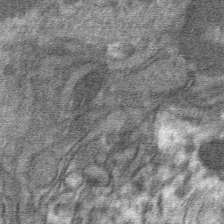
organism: Mouse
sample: Mouse hepatocytes